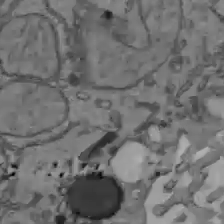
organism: C57BL Mouse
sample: Liver